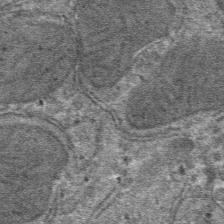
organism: Mouse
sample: Mouse hepatocytes